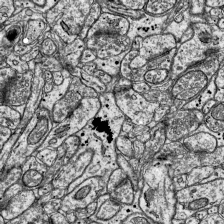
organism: Mouse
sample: Visual Cortex